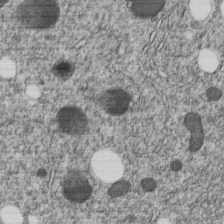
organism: C. elegans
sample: C. elegans embryo early stage